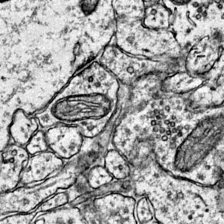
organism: Mouse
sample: Primary visual cortex